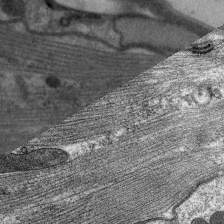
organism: C. elegans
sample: Pharynx